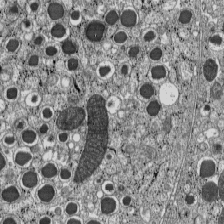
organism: C57BL Mouse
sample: Pancreatic islet